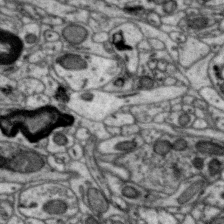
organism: Zebra finch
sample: Brain